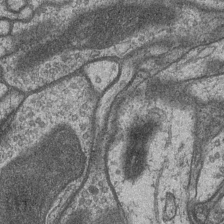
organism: Drosophila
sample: Optic medulla